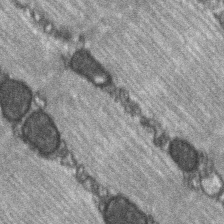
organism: C57BL Mouse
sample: Soleus